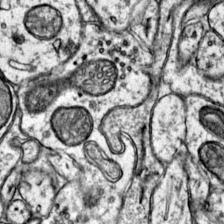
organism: Mouse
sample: Primary visual cortex